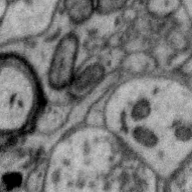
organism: Zebra finch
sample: Brain